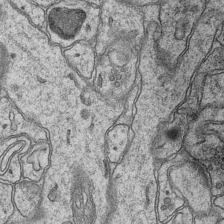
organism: Mouse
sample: CA1 Hippocampus